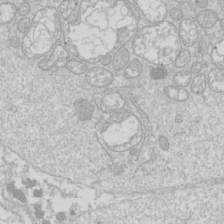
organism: Drosophila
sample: Cell division; meiosis; drosophila spermatocytes